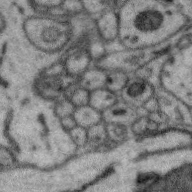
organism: Zebra finch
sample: Brain